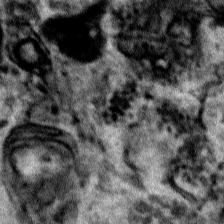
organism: Human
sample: Mitochondria in HCT116 cells